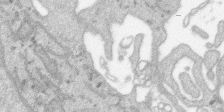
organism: Human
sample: Lung epithelial cells infected with SARS-CoV-2